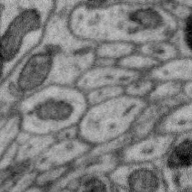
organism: Zebra finch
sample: Brain